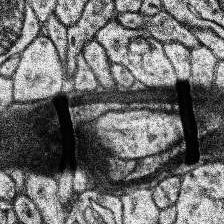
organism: Human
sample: Temporal Lobe